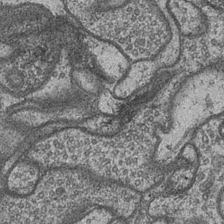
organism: Drosophila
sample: Optic medulla